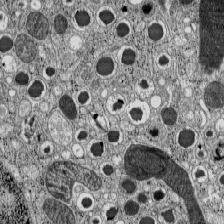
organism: C57BL Mouse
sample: Pancreatic islet